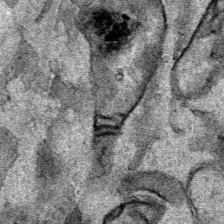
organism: Human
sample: Mitochondria in HCT116 cells